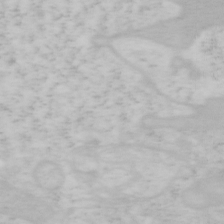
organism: Mouse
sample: OT-I killer T cells with ID8 ovarian cancer cells